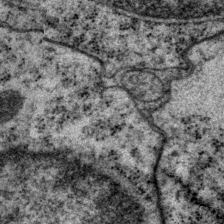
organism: P. pacificus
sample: Pharynx